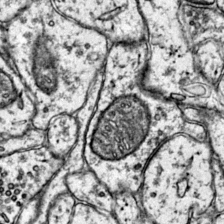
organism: Mouse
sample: Primary visual cortex